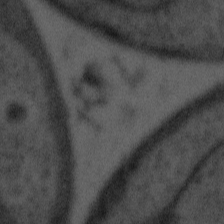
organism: Tuwongella immobilis